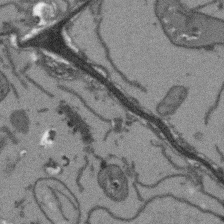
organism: Arabidopsis thaliana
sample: Root tip